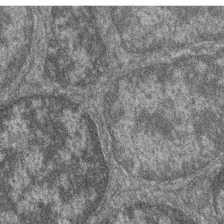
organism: Zebrafish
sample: Cilia; retinal pigment epithelium